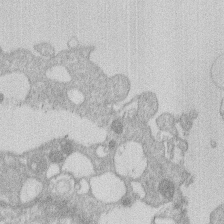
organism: Human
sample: Macrophage cells